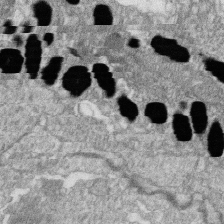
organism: Zebrafish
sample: Cilia; retinal pigment epithelium